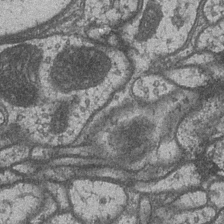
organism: Drosophila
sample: Optic medulla